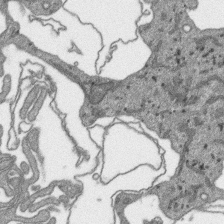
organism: Human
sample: Lung epithelial cells infected with SARS-CoV-2